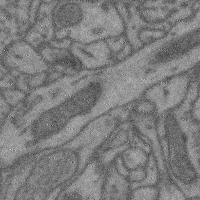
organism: Mouse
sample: Cerebral cortex